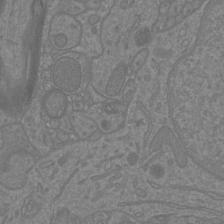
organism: Mouse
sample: Cortical neurons